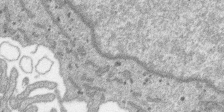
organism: Human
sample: Lung epithelial cells infected with SARS-CoV-2